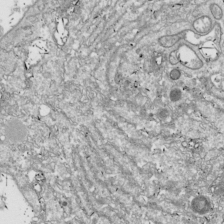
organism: Drosophila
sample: Cell division; meiosis; drosophila spermatocytes